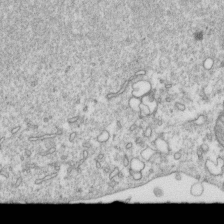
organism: Mouse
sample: Activated OT-1 CD8+ T cells